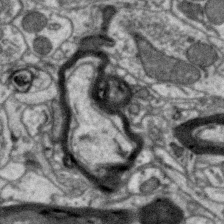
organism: Zebra finch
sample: Brain